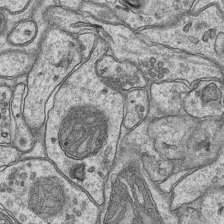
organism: Mouse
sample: CA1 Hippocampus